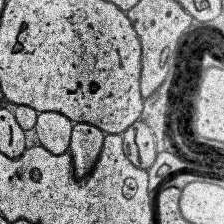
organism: Human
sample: Temporal Lobe